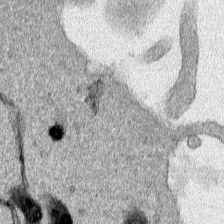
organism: Human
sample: Mitochondria in HCT116 cells